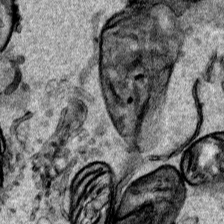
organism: Human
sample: Mitochondria in HCT116 cells